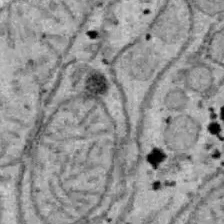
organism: Mouse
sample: Liver from an obese (ob/ob) mouse